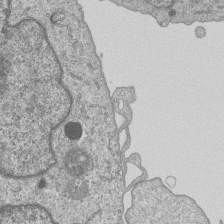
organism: Human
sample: MDA-MB-231 cells